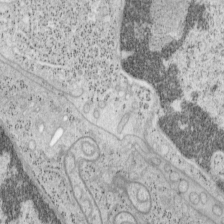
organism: Mouse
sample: OT-I killer T cells with ID8 ovarian cancer cells